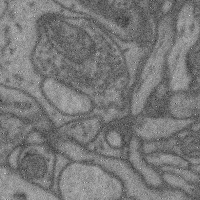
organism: Mouse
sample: Cerebral cortex